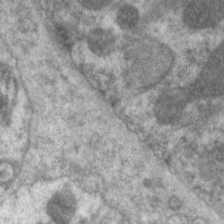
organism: C. elegans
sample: Pharynx